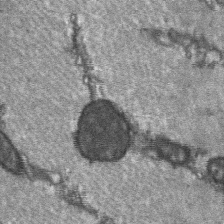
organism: C57BL Mouse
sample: Soleus